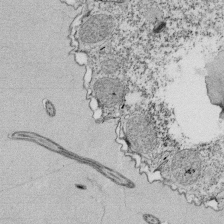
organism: Tetrahymena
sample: Cilia in tetrahymena